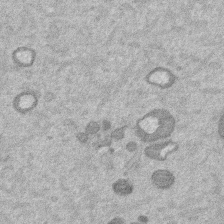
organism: Mouse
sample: Dividing mouse embryo 1 cell stage